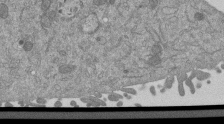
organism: Mouse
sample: ED-1 cell nuclei; centrioles